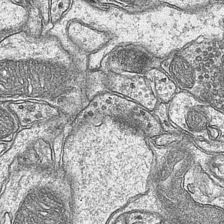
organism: Mouse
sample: CA1 Hippocampus